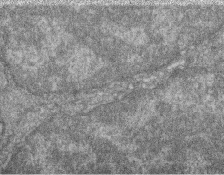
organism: Zebrafish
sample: Cilia; retinal pigment epithelium